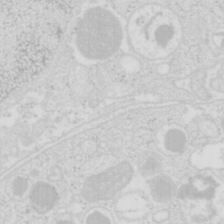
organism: Mouse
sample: Pancreas